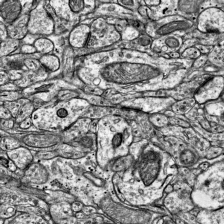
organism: Mouse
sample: Visual Cortex